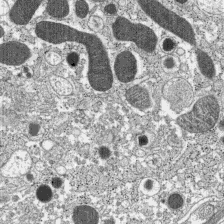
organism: C57BL Mouse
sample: Pancreatic islet